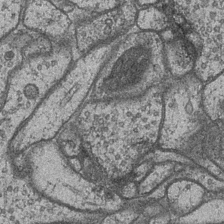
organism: Drosophila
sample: Optic medulla